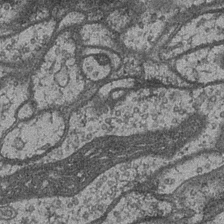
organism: Drosophila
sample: Optic medulla